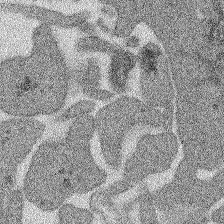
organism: Human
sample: HeLa cells